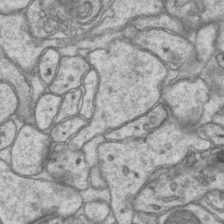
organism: Mouse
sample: CA1 Hippocampus